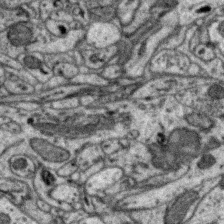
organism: Zebra finch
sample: Brain